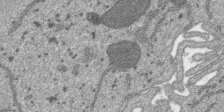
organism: Human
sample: Lung epithelial cells infected with SARS-CoV-2